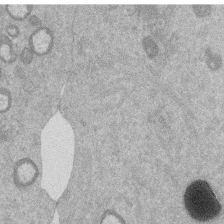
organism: Mouse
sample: Dividing mouse embryo 1 cell stage